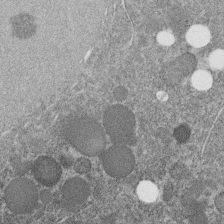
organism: C. elegans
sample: C. elegans embryo early stage